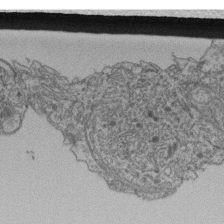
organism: Human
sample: Retinal organoid Rod and Cone cells